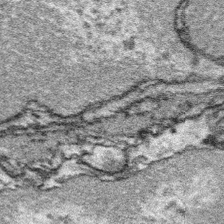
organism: Platynereis dumerilii